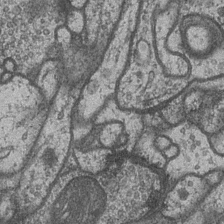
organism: Drosophila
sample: Optic medulla